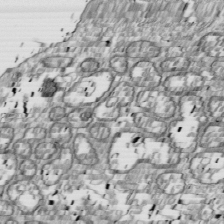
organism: Drosophila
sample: Cell division; meiosis; drosophila spermatocytes